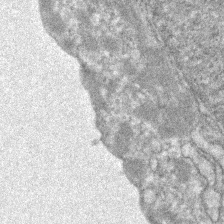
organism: Zebrafish